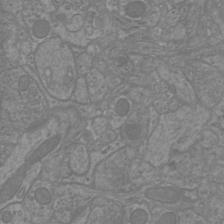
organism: Mouse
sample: Cortical neurons